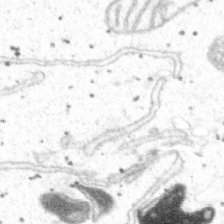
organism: Human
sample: HeLa cells